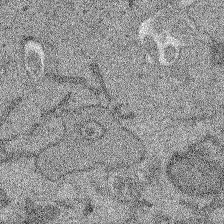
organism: Human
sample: HeLa cells